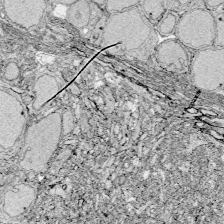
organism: Zebrafish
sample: Whole-Brain